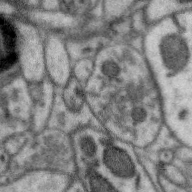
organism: Zebra finch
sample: Brain